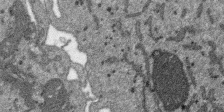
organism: Human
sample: Lung epithelial cells infected with SARS-CoV-2